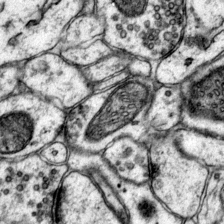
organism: Mouse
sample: Primary visual cortex